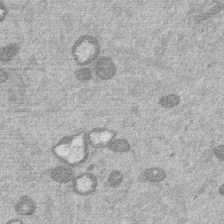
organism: Mouse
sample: Dividing mouse embryo 1 cell stage